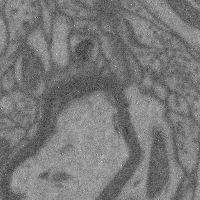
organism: Mouse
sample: Cerebral cortex